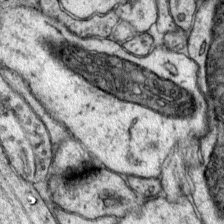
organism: Mouse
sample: Primary visual cortex